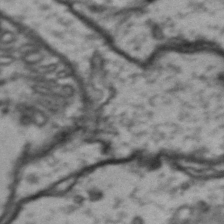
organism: Drosophila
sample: Brain